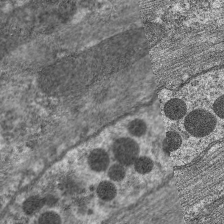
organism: C. elegans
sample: Pharynx